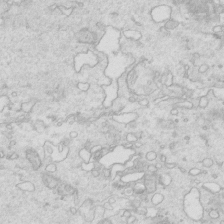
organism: Mouse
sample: Multiciliated cells